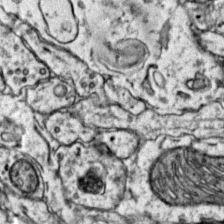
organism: Mouse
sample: Primary visual cortex